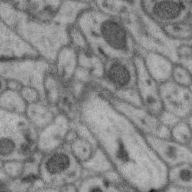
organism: Zebra finch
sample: Brain